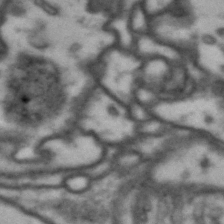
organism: Drosophila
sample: Brain